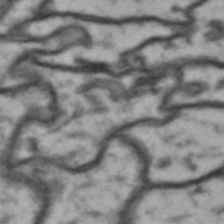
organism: Drosophila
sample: Brain